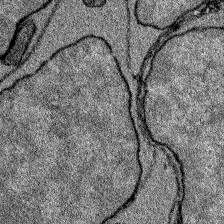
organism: Zebrafish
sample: Larval olfactory bulb